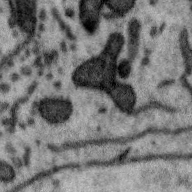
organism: Zebra finch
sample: Brain